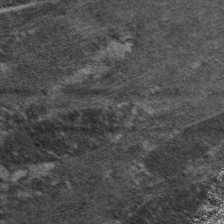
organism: C. elegans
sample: Pharynx